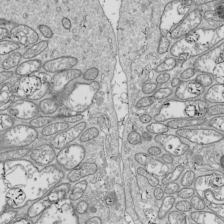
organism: Drosophila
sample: Cell division; meiosis; drosophila spermatocytes